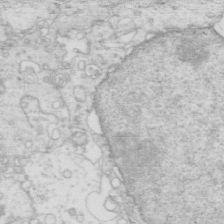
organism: Mouse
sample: Multiciliated cells